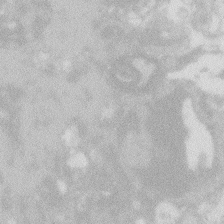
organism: Zebrafish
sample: Macrophage